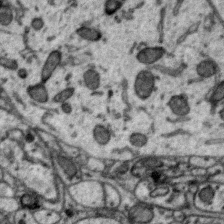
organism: Zebra finch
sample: Brain